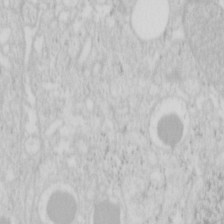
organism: Mouse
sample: Pancreas